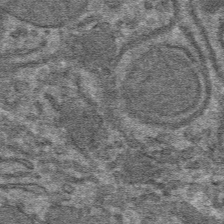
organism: Mouse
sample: Mouse hepatocytes